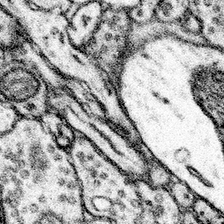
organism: Mouse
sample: Somatosensory cortex neuropil